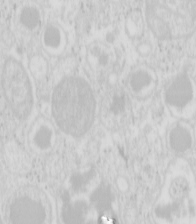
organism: Mouse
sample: Pancreas